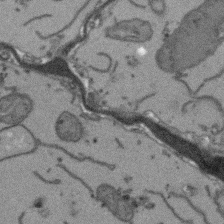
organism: Arabidopsis thaliana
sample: Root tip